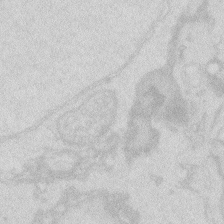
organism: Zebrafish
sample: Macrophage